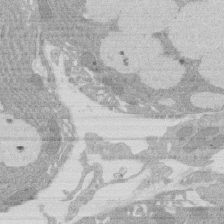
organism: Rat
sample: Salivary granule